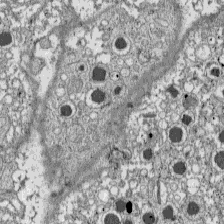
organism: C57BL Mouse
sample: Pancreatic islet